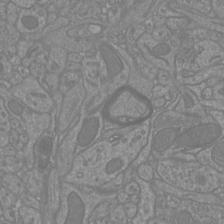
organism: Mouse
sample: Cortical neurons